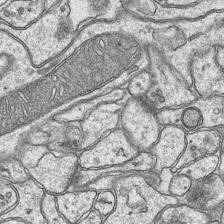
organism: Mouse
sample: CA1 Hippocampus